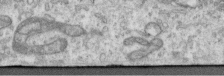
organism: Human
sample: Centriole in RPE cells